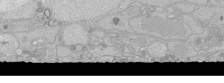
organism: Human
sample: Caco-2 cells